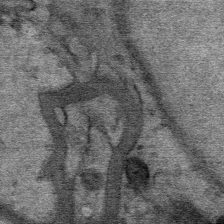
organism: Mouse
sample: Mouse Salivary gland